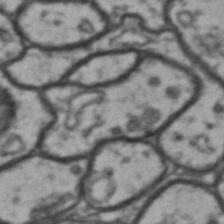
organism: Drosophila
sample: Brain